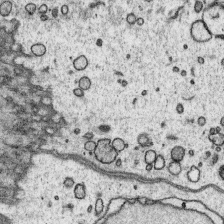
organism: Platynereis dumerilii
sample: Parapodia